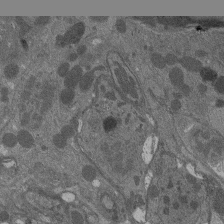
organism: Drosophila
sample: Antenna